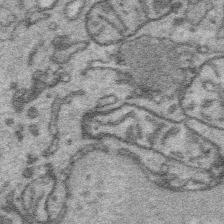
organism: Platynereis dumerilii